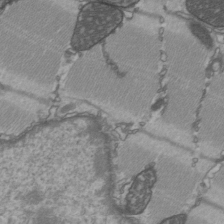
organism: C57BL Mouse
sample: Heart